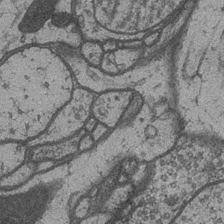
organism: Drosophila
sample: Optic medulla